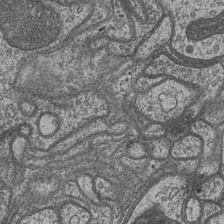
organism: Drosophila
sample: Optic medulla